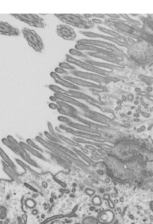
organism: Mouse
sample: Mouse epididymis efferent ductule cilia